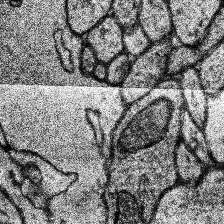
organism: Human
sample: Temporal Lobe